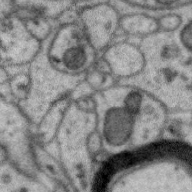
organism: Zebra finch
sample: Brain